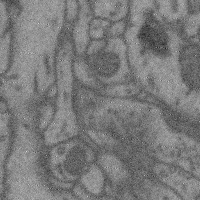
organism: Mouse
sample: Cerebral cortex